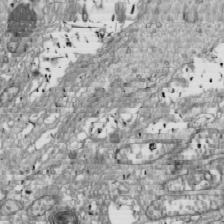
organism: Drosophila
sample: Cell division; meiosis; drosophila spermatocytes